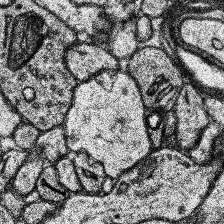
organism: Human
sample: Temporal Lobe